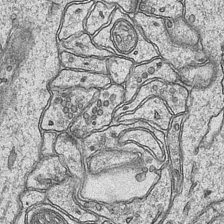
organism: Mouse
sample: CA1 Hippocampus